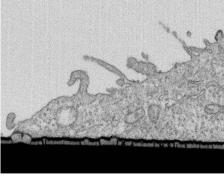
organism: Human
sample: HeLa cell HIV synapse